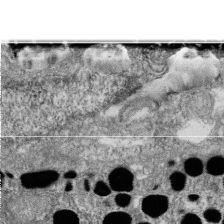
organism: Zebrafish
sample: Cilia; retinal pigment epithelium